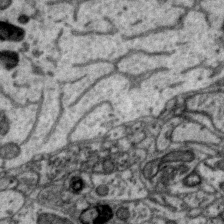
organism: Zebra finch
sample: Brain